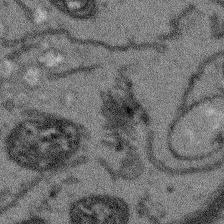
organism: Arabidopsis thaliana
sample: Root tip